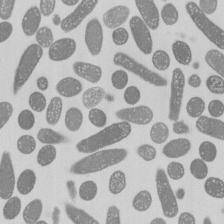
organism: E. coli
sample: Bacterial nucleoid